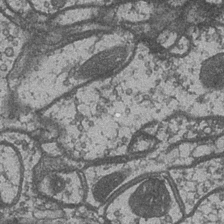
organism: Drosophila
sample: Optic medulla